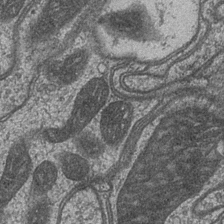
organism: Drosophila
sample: Optic medulla